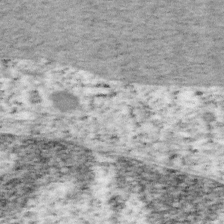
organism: Mouse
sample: OT-I killer T cells with ID8 ovarian cancer cells